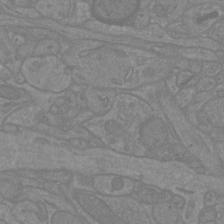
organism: Mouse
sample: Cortical neurons